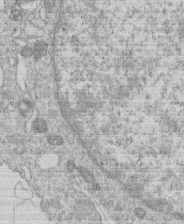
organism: Human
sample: Macrophage cells